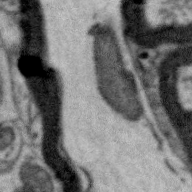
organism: Zebra finch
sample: Brain